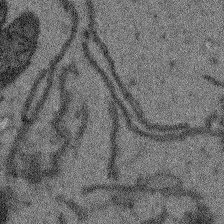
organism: Arabidopsis thaliana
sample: Root tip